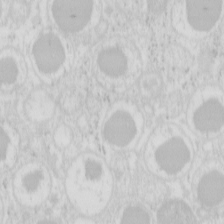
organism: Mouse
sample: Pancreas